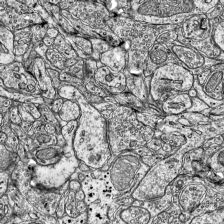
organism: Mouse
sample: Visual Cortex